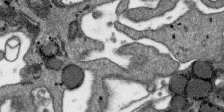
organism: Human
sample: Lung epithelial cells, uninfected (mock) control